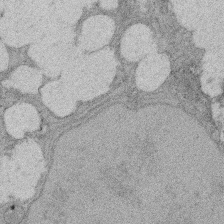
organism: Rat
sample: Salivary granule